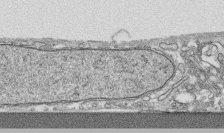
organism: Human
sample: CRL-1474